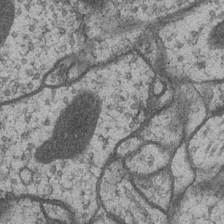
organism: Drosophila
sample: Optic medulla